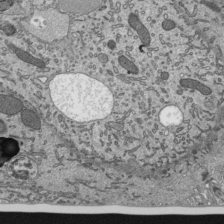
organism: Mouse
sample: Mouse epididymis efferent ductule cilia